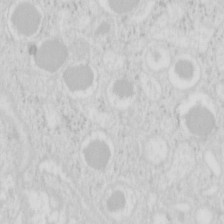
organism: Mouse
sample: Pancreas